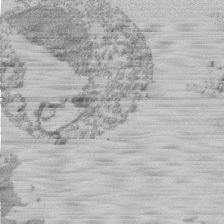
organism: Mouse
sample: Activated Pmel transgenic CD8+ T Cells